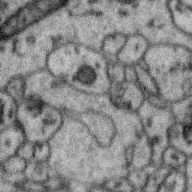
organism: Zebra finch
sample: Brain